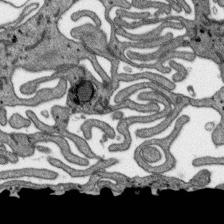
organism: Human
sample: Lung epithelial cells, uninfected (mock) control